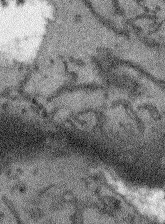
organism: Arabidopsis thaliana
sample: Root tip